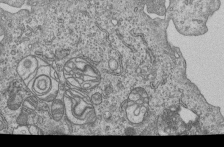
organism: Human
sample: MDA-MB-231 cells